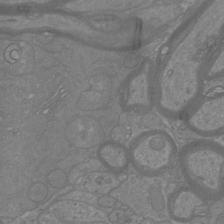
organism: Mouse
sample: Cortical neurons